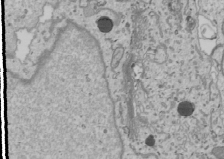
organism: Human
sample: Mitochondria in U2OS cells